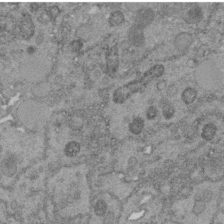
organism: C. elegans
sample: C. elegans embryo early stage